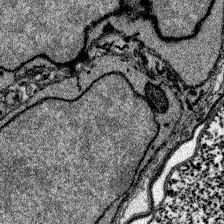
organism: Zebrafish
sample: Larval olfactory bulb